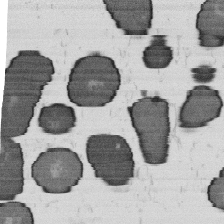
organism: B. subtilis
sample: Bacterial spore